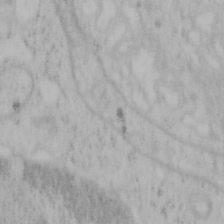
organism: Mouse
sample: OT-I killer T cells with ID8 ovarian cancer cells